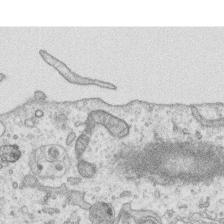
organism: Human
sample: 1205lu cells